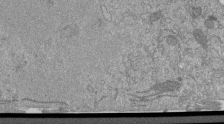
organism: Mouse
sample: ED-1 cell nuclei; centrioles